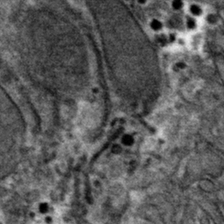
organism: Mouse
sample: Mouse hepatocytes